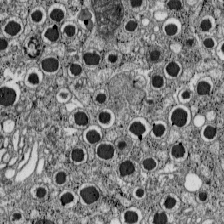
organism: C57BL Mouse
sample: Pancreatic islet